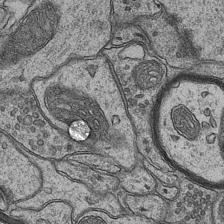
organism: Mouse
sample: CA1 Hippocampus